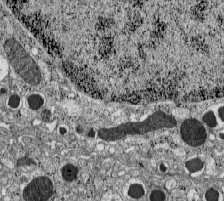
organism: C57BL Mouse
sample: Pancreatic islet